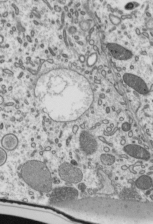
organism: Mouse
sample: Mouse epididymis efferent ductule cilia